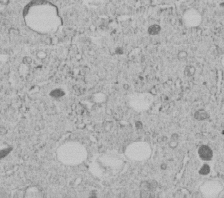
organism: C. elegans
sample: C. elegans embryo early stage